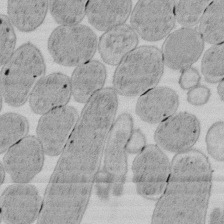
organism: E. coli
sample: Bacterial nucleoid